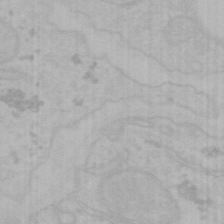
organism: Mouse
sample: Choroid plexus